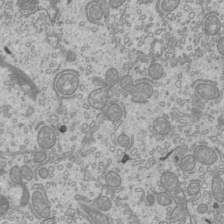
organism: Mouse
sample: Cilia; mouse epididymis